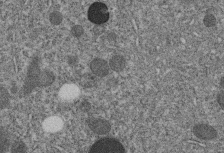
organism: C. elegans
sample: C. elegans embryo early stage